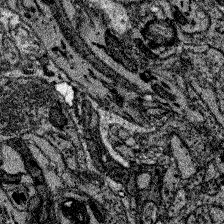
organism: Zebrafish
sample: Larval olfactory bulb